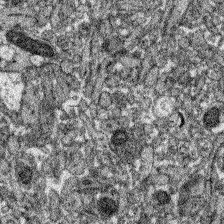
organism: Zebrafish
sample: Larval olfactory bulb